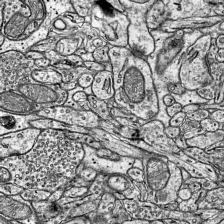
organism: Mouse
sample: Visual Cortex